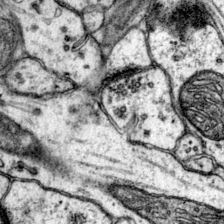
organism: Mouse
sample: Primary visual cortex